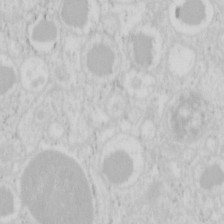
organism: Mouse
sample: Pancreas